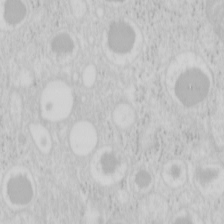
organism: Mouse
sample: Pancreas